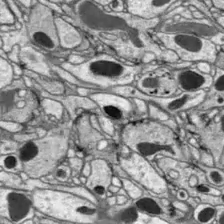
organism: Drosophila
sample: Optic lobe